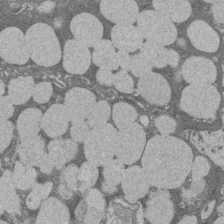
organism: Rat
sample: Salivary granule